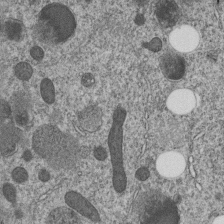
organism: C. elegans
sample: C. elegans embryo early stage